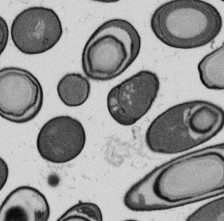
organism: B. subtilis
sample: Bacterial spore